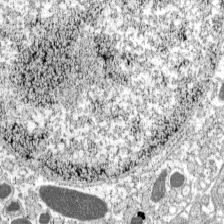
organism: C57BL Mouse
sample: Pancreatic islet